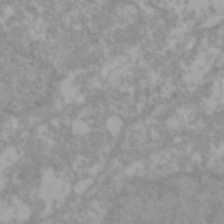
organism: Zebrafish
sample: Zebrafish embryo